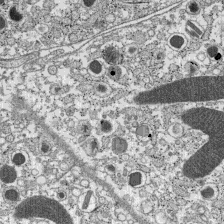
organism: C57BL Mouse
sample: Pancreatic islet